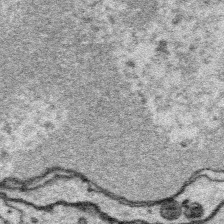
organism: Platynereis dumerilii